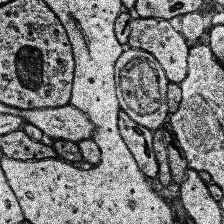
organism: Human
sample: Temporal Lobe